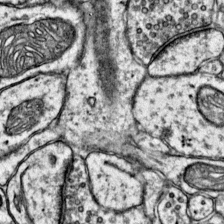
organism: Mouse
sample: Primary visual cortex